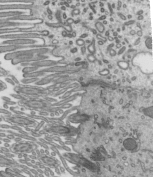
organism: Mouse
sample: Mouse epididymis efferent ductule cilia